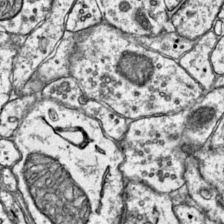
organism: Mouse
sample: Primary visual cortex